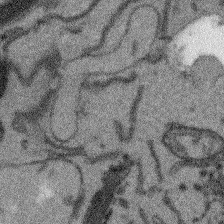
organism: Arabidopsis thaliana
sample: Root tip